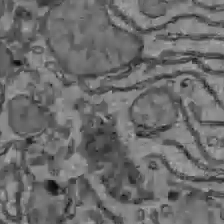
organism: C57BL Mouse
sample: Liver